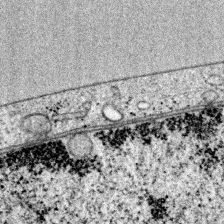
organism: Human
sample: HeLa cells